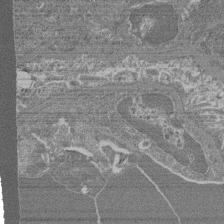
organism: Mouse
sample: Glomerulus